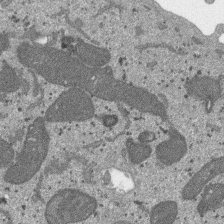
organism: Human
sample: Lung epithelial cells infected with SARS-CoV-2